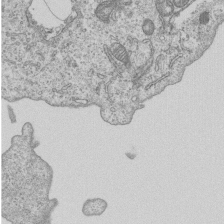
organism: Human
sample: MDA-MB-231 cells